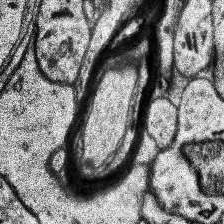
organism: Human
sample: Temporal Lobe